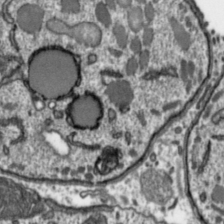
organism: Toxoplasma gondii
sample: Parasites in a vacuole inside a host cell